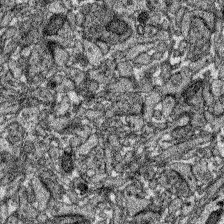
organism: Zebrafish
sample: Larval olfactory bulb